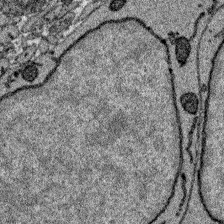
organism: Zebrafish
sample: Larval olfactory bulb